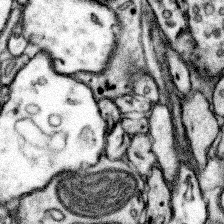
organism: Mouse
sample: Somatosensory cortex neuropil